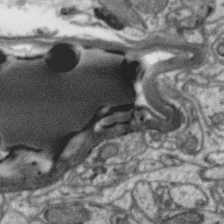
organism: Zebra finch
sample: Brain